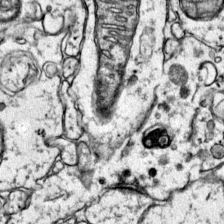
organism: Mouse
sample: Primary visual cortex